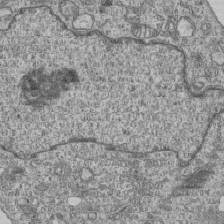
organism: Human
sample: MDA-MB-231 cells